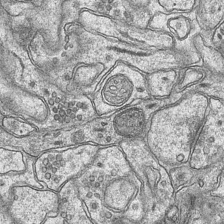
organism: Mouse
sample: CA1 Hippocampus